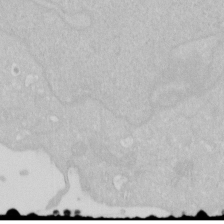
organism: Human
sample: HIV infected U937 cells